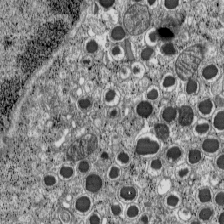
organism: C57BL Mouse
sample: Pancreatic islet